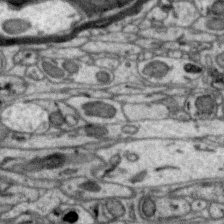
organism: Zebra finch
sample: Brain